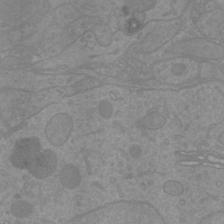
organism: Mouse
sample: Cortical neurons